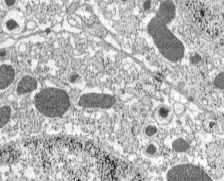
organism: C57BL Mouse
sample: Pancreatic islet